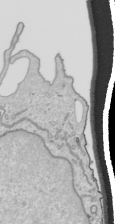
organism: Human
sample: Mitochondria in HCT116 cells